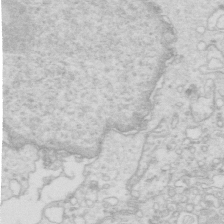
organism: Mouse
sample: Multiciliated cells